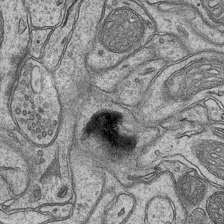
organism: Mouse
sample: CA1 Hippocampus